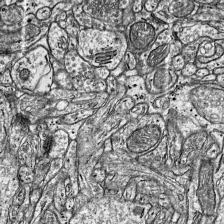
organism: Mouse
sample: Visual Cortex